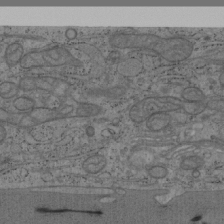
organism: Human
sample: HeLa cells